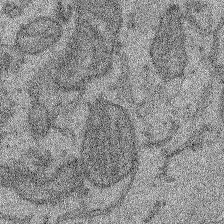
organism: Human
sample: HeLa cells